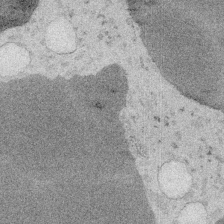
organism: Embia sp.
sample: Silk gland